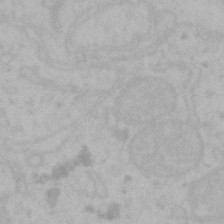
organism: Mouse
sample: Choroid plexus